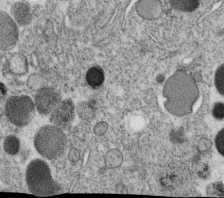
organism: C. elegans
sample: C. elegans oocyte; sperm cells